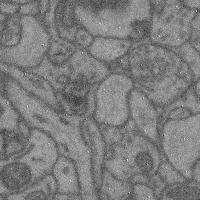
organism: Mouse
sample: Cerebral cortex